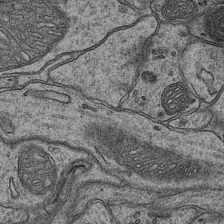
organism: Mouse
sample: CA1 Hippocampus